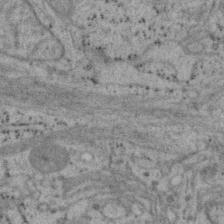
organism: Human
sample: HeLa cells